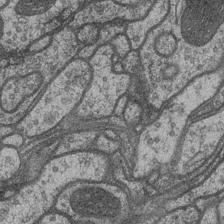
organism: Drosophila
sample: Optic medulla